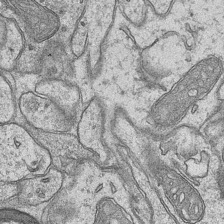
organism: Mouse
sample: CA1 Hippocampus